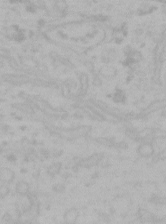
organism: Mouse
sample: Choroid plexus